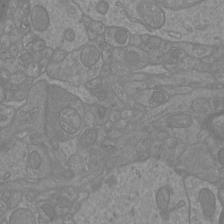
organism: Mouse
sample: Cortical neurons